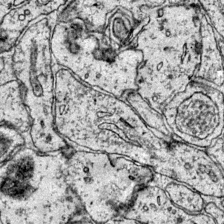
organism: Mouse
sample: Primary visual cortex